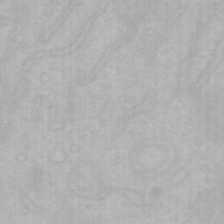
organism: Mouse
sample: Choroid plexus